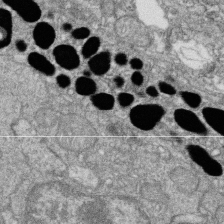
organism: Zebrafish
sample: Cilia; retinal pigment epithelium